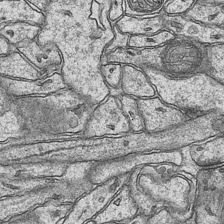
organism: Mouse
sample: CA1 Hippocampus